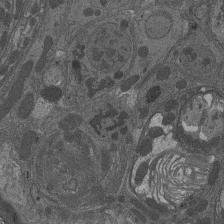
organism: Drosophila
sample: Antenna